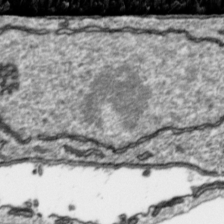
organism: Toxoplasma gondii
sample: Parasites in a vacuole inside a host cell